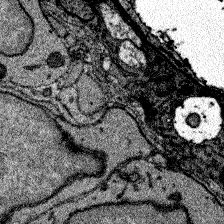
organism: Zebrafish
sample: Larval olfactory bulb